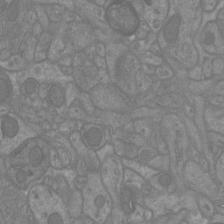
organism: Mouse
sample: Cortical neurons